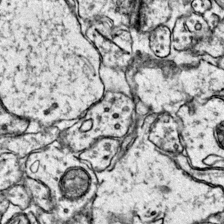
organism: Mouse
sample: Primary visual cortex